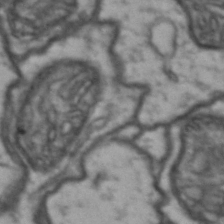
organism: Drosophila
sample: Brain